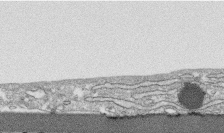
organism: Human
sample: CRL-1474